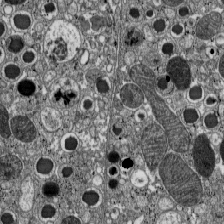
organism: C57BL Mouse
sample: Pancreatic islet